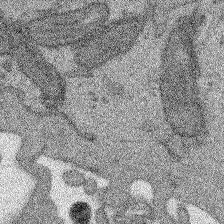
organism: Human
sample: HeLa cells